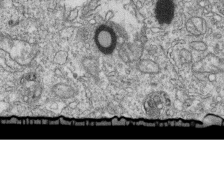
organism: Human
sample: HeLa cell HIV synapse